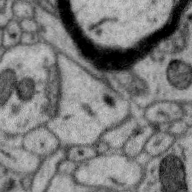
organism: Zebra finch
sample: Brain